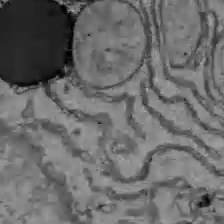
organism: C57BL Mouse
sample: Liver